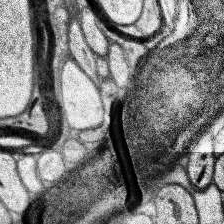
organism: Human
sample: Temporal Lobe